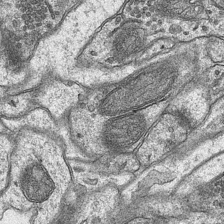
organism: Mouse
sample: CA1 Hippocampus